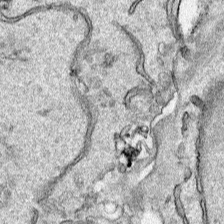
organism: Human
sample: Mitochondria in HCT116 cells